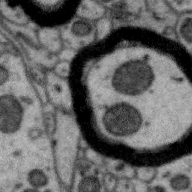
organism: Zebra finch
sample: Brain